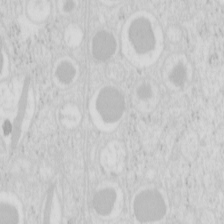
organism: Mouse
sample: Pancreas